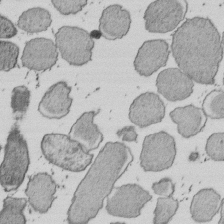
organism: E. coli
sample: Bacterial nucleoid